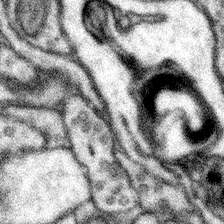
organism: Mouse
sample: Somatosensory cortex neuropil